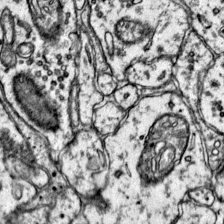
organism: Mouse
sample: Primary visual cortex